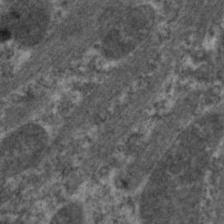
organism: C. elegans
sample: Pharynx